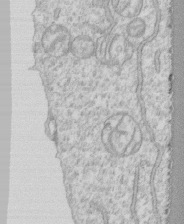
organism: Human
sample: CRL-1474